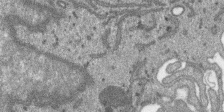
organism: Human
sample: Lung epithelial cells infected with SARS-CoV-2